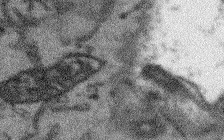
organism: Arabidopsis thaliana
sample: Root tip